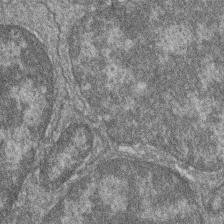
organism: Zebrafish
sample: Cilia; retinal pigment epithelium